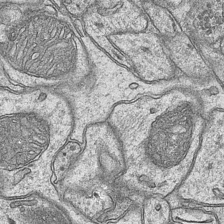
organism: Mouse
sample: CA1 Hippocampus